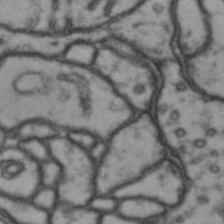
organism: Drosophila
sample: Brain